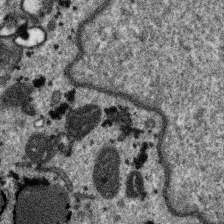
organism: Human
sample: Lung epithelial cells infected with SARS-CoV-2